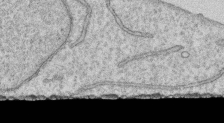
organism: Human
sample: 1205lu cells